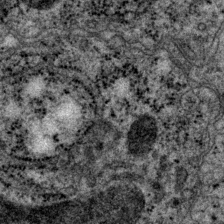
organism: P. pacificus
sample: Pharynx